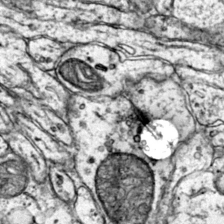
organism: Mouse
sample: Primary visual cortex